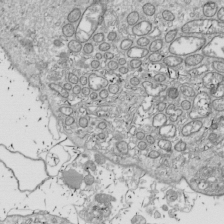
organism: Drosophila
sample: Cell division; meiosis; drosophila spermatocytes